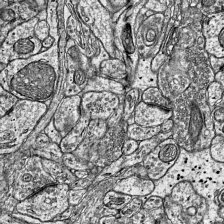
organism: Mouse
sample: Visual Cortex